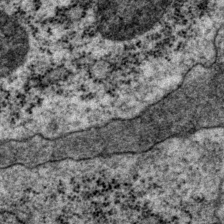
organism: P. pacificus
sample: Pharynx